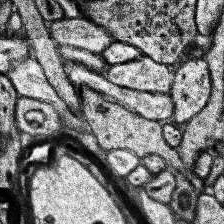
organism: Human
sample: Temporal Lobe